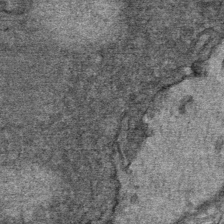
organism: Mouse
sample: Mouse Salivary gland